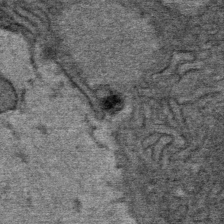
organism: Mouse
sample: Mouse Salivary gland